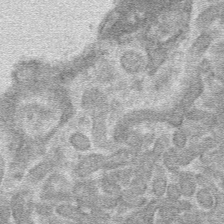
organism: Mouse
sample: Mouse hepatocytes